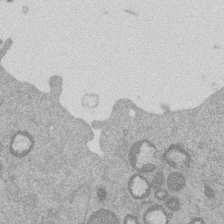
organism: Mouse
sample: Dividing mouse embryo 1 cell stage